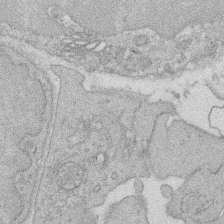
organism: Rat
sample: Salivary granule